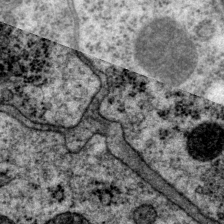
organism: P. pacificus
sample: Pharynx